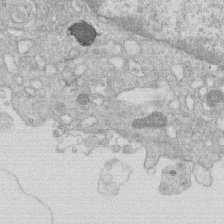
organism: Human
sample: Macrophage cells